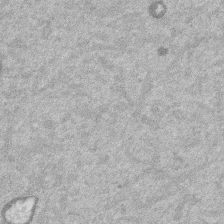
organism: Mouse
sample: Dividing mouse embryo 1 cell stage